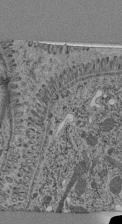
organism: C. elegans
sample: C. elegans pharynx